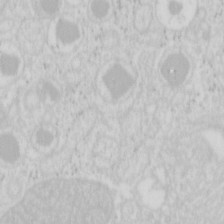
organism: Mouse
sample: Pancreas